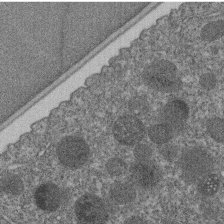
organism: C. elegans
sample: C. elegans embryo early stage